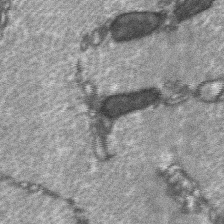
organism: C57BL Mouse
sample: Soleus